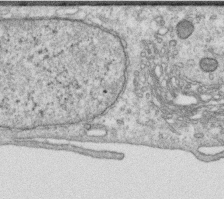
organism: Human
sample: Centriole in RPE cells